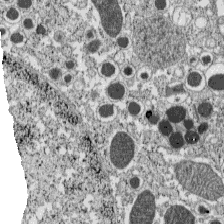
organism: C57BL Mouse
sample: Pancreatic islet